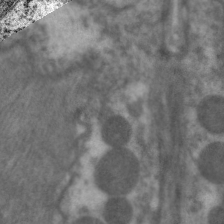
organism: C. elegans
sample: Pharynx